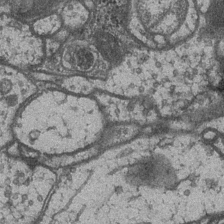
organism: Drosophila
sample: Optic medulla